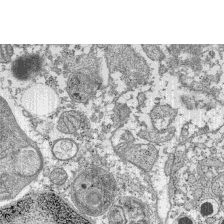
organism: C57BL Mouse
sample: Pancreatic islet